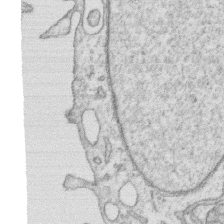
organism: Human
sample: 1205lu cells